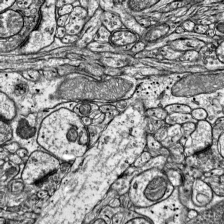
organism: Mouse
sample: Visual Cortex